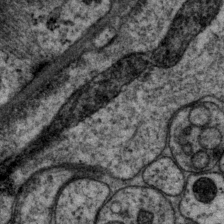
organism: P. pacificus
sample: Pharynx